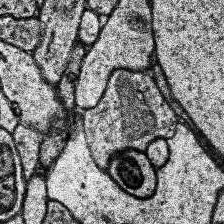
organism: Human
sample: Temporal Lobe